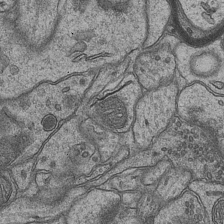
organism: Mouse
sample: CA1 Hippocampus